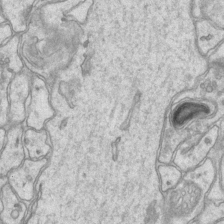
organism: Mouse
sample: CA1 Hippocampus